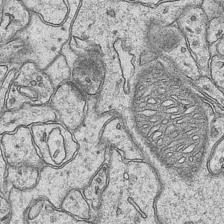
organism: Mouse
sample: CA1 Hippocampus